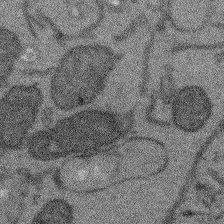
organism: Arabidopsis thaliana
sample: Root tip